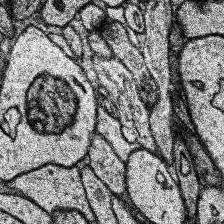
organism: Human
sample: Temporal Lobe